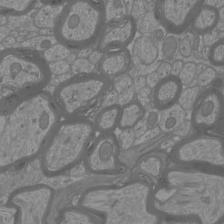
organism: Mouse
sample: Cortical neurons